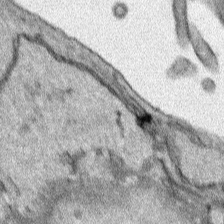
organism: Human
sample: Mitochondria in HCT116 cells